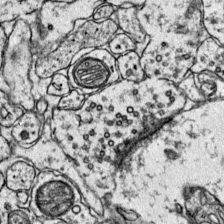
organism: Mouse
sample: Primary visual cortex